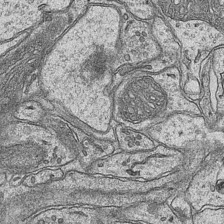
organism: Mouse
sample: CA1 Hippocampus